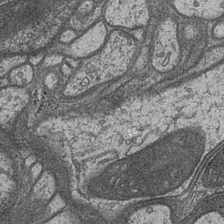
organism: Drosophila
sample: Optic medulla